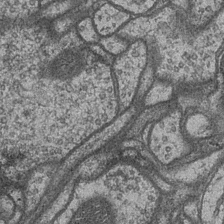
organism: Drosophila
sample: Optic medulla